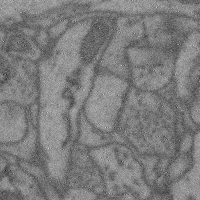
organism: Mouse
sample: Cerebral cortex